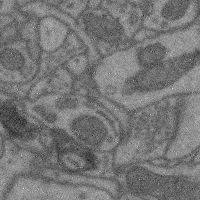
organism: Mouse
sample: Cerebral cortex